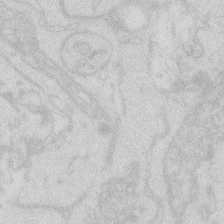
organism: Zebrafish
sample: Macrophage